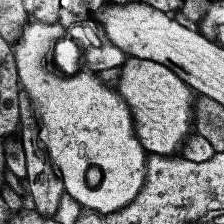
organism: Human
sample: Temporal Lobe